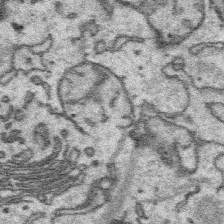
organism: Platynereis dumerilii